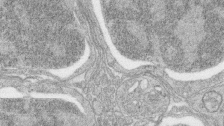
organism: Zebrafish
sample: synaptic ribbons in rod cells and cone cells